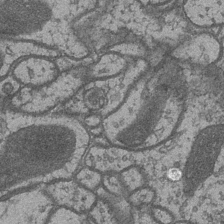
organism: Drosophila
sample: Optic medulla